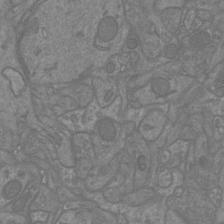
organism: Mouse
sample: Cortical neurons